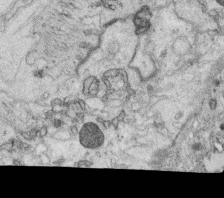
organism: C. elegans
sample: C. elegans oocyte; sperm cells